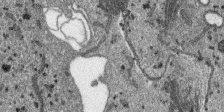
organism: Human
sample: Lung epithelial cells infected with SARS-CoV-2